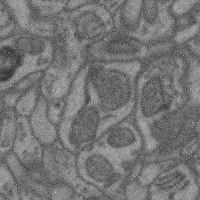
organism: Mouse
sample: Cerebral cortex